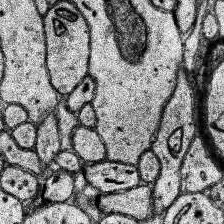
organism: Human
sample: Temporal Lobe